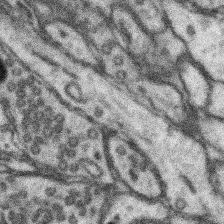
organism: Mouse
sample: Somatosensory cortex neuropil